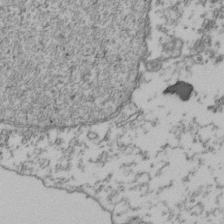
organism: Human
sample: Activated Jurkat CD4+ T cells